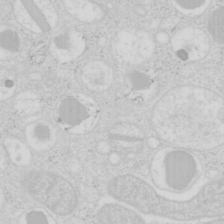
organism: Mouse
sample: Pancreas